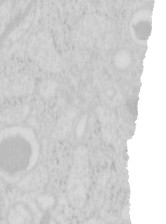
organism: Mouse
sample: Pancreas